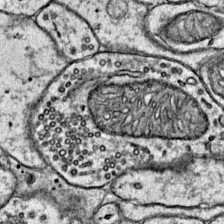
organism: Mouse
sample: Primary visual cortex